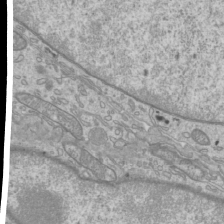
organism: Mouse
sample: Cilia; mouse epididymis